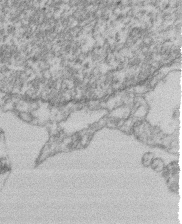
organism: Mouse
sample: T cell stromal cell synapse